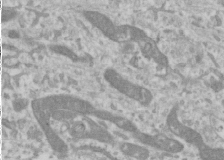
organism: Human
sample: Cilia; basal body in RPE cells